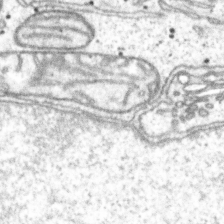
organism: Human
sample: HeLa cells